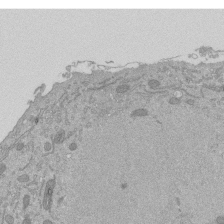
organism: Mouse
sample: ED-1 cell nuclei; centrioles